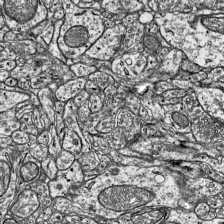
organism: Mouse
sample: Visual Cortex